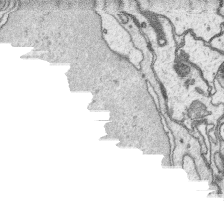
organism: Platynereis dumerilii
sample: Parapodia